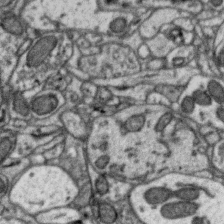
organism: Zebra finch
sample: Brain